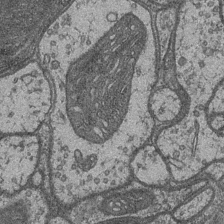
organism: Drosophila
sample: Optic medulla